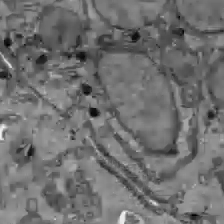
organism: C57BL Mouse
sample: Liver